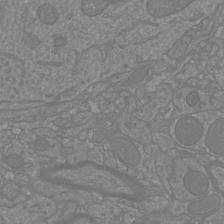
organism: Mouse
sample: Cortical neurons